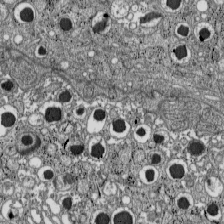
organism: C57BL Mouse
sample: Pancreatic islet